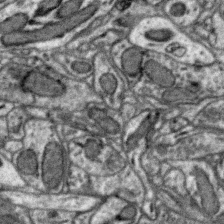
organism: Zebra finch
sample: Brain